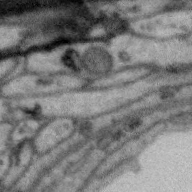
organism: Zebra finch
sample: Brain